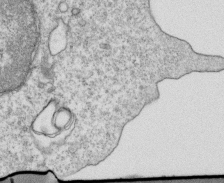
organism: Mouse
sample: Activated OT-1 CD8+ T cells